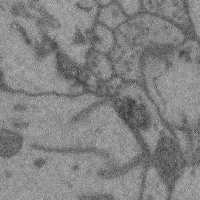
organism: Mouse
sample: Cerebral cortex